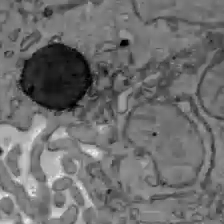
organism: C57BL Mouse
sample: Liver